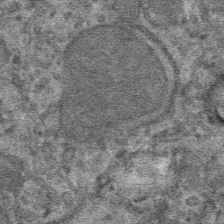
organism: Mouse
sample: Mouse hepatocytes